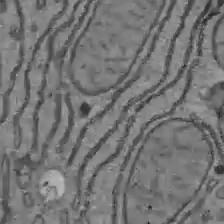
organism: C57BL Mouse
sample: Liver